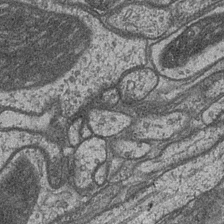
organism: Drosophila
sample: Optic medulla